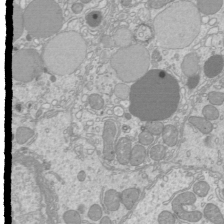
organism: Mouse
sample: Cilia; mouse epididymis